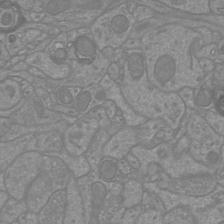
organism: Mouse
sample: Cortical neurons